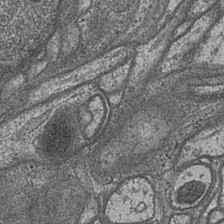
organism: Drosophila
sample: Optic medulla